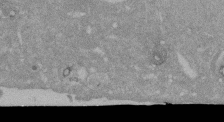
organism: Mouse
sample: ED-1 cell nuclei; centrioles